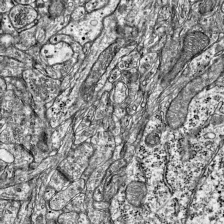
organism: Mouse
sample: Visual Cortex